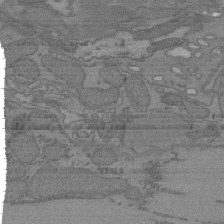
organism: C. elegans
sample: AFD neurons C. elegans